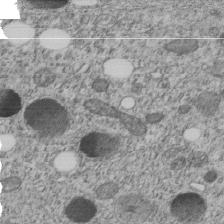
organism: C. elegans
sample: C. elegans embryo early stage